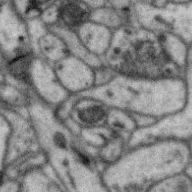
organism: Zebra finch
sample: Brain